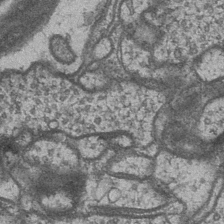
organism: Drosophila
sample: Optic medulla